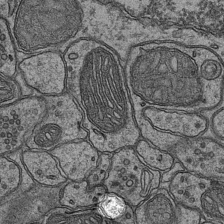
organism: Mouse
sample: CA1 Hippocampus